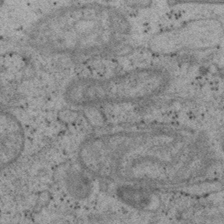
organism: Human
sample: HeLa cells